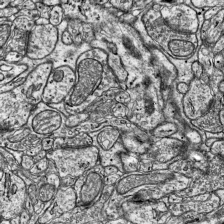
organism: Mouse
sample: Visual Cortex